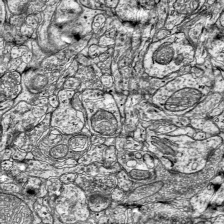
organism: Mouse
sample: Visual Cortex